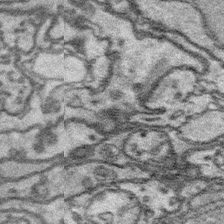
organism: Platynereis dumerilii